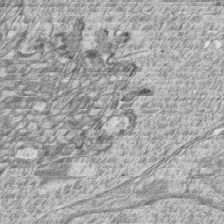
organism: Zebrafish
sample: synaptic ribbons in rod cells and cone cells